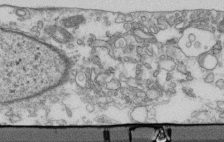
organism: Human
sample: Centriole in fibroblast cells